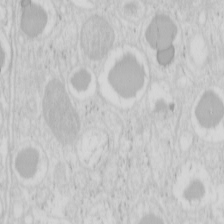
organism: Mouse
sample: Pancreas